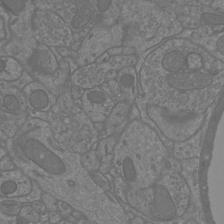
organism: Mouse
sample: Cortical neurons